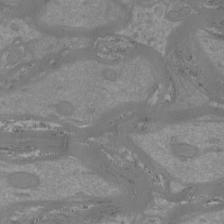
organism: Mouse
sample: Cortical neurons